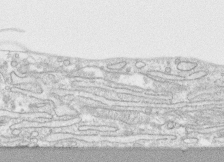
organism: Human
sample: CRL-1474